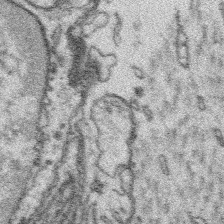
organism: Platynereis dumerilii